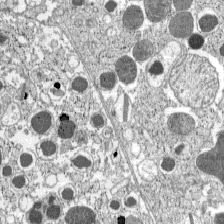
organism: C57BL Mouse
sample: Pancreatic islet